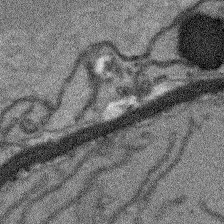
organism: Arabidopsis thaliana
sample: Root tip